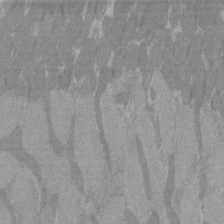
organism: C57BL Mouse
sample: Tibialis anterior muscle cell